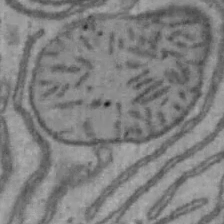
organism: Mouse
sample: Liver